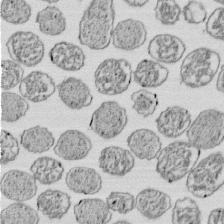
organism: E. coli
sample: Bacterial nucleoid